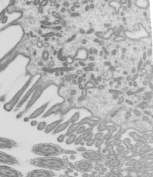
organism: Mouse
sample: Mouse epididymis efferent ductule cilia